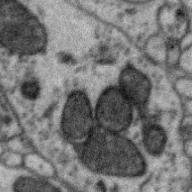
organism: Zebra finch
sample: Brain